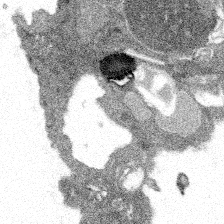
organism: Spongilla lacustris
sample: Multiple